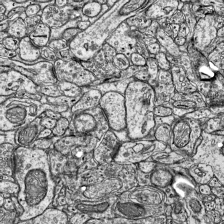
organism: Mouse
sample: Visual Cortex